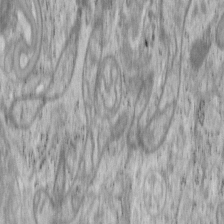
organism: Human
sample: HeLa cells